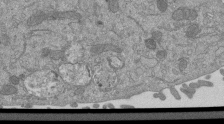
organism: Mouse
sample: ED-1 cell nuclei; centrioles